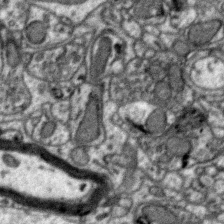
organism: Zebra finch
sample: Brain